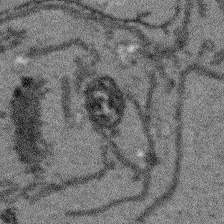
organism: Arabidopsis thaliana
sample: Root tip